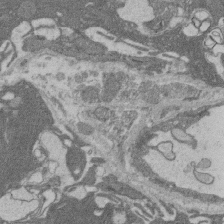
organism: Rat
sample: Salivary granule